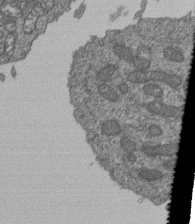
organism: Human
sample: Retinal organoid Rod and Cone cells